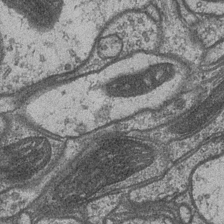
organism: Drosophila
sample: Optic medulla